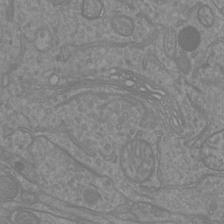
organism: Mouse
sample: Cortical neurons